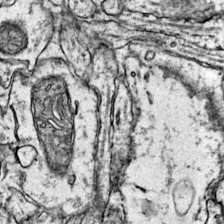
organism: Mouse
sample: Primary visual cortex